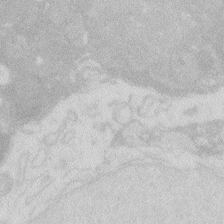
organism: Zebrafish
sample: Macrophage